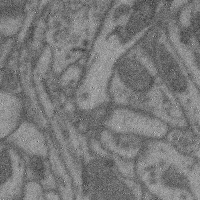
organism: Mouse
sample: Cerebral cortex